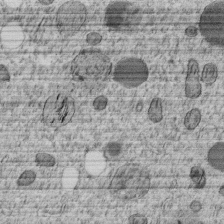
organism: C. elegans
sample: C. elegans embryo early stage